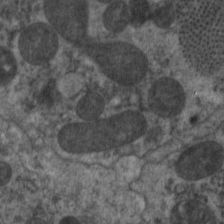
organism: C. elegans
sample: Pharynx